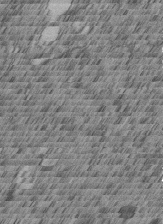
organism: C. elegans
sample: C. elegans embryo early stage